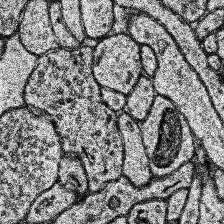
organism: Human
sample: Temporal Lobe